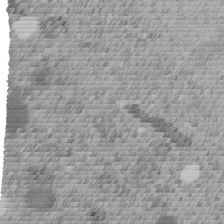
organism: C. elegans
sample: C. elegans embryo early stage